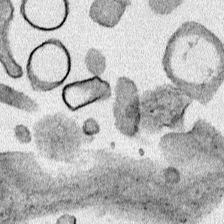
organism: Human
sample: Mitochondria in HCT116 cells